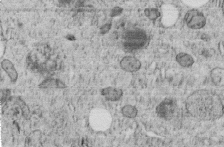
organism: C. elegans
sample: C. elegans embryo early stage